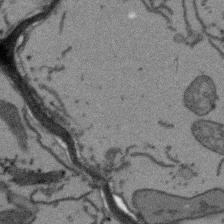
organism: Arabidopsis thaliana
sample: Root tip